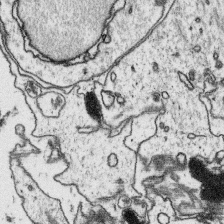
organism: Platynereis dumerilii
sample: Parapodia